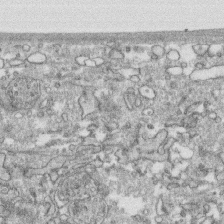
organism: Human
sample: CRL-1474